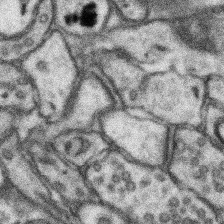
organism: Mouse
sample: Somatosensory cortex neuropil